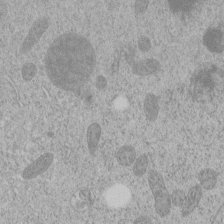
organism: C. elegans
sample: C. elegans embryo early stage